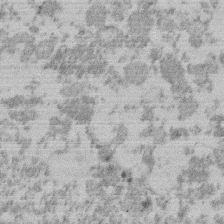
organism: Mouse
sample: Dividing mouse embryo 1 cell stage